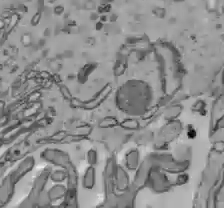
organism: C57BL Mouse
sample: Liver